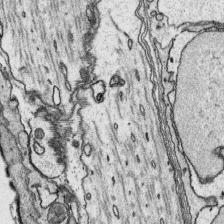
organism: Platynereis dumerilii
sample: Parapodia